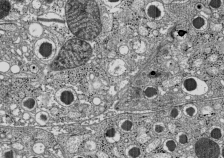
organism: C57BL Mouse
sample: Pancreatic islet